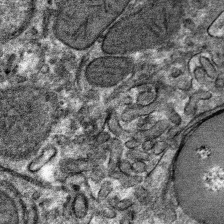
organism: Mouse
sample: Mouse hepatocytes